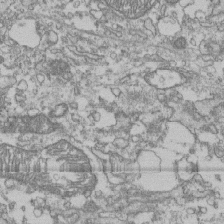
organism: Human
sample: Fibroblast cells